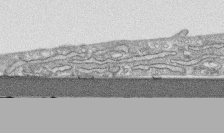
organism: Human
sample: CRL-1474